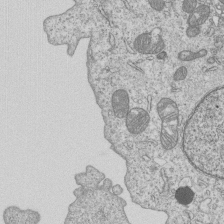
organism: Human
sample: MDA-MB-231 cells